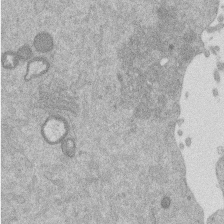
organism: Mouse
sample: Dividing mouse embryo 1 cell stage